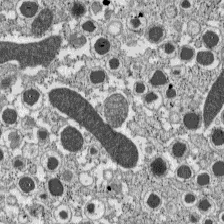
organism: C57BL Mouse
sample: Pancreatic islet